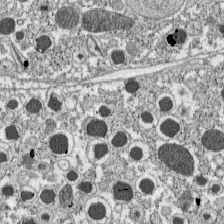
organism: C57BL Mouse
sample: Pancreatic islet